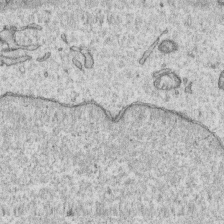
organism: Human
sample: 1205lu cells